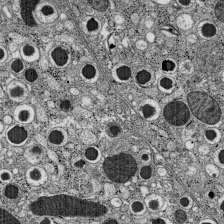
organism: C57BL Mouse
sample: Pancreatic islet